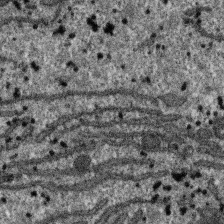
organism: Human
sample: Lung epithelial cells infected with SARS-CoV-2